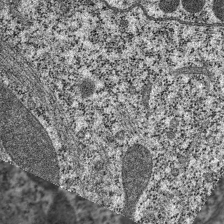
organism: C. elegans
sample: Pharynx